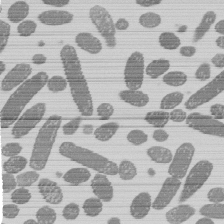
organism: E. coli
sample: Bacterial nucleoid